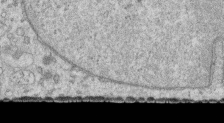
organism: Human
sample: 1205lu cells